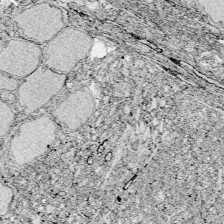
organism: Zebrafish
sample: Whole-Brain